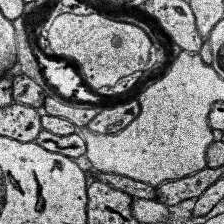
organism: Human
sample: Temporal Lobe